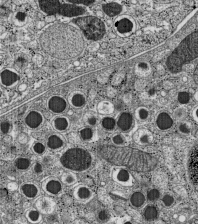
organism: C57BL Mouse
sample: Pancreatic islet